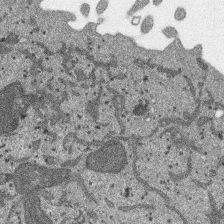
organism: Human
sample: Lung epithelial cells infected with SARS-CoV-2